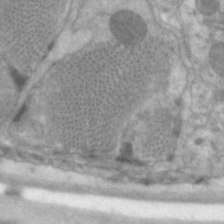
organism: C. elegans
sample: Pharynx